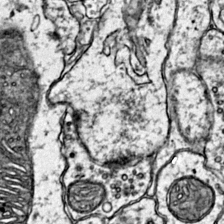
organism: Mouse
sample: Primary visual cortex